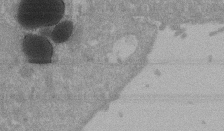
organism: Mouse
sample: ED-1 cell nuclei; centrioles